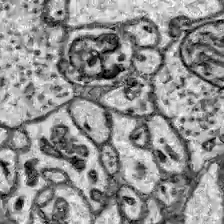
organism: Zebrafish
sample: Brain